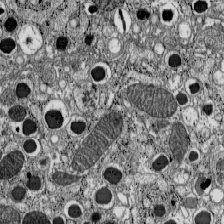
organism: C57BL Mouse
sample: Pancreatic islet